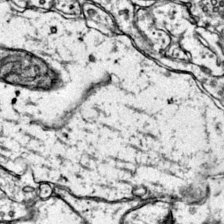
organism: Mouse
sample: Primary visual cortex